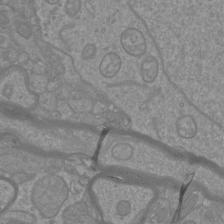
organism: Mouse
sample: Cortical neurons